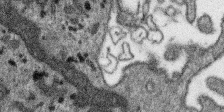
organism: Human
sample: Lung epithelial cells infected with SARS-CoV-2